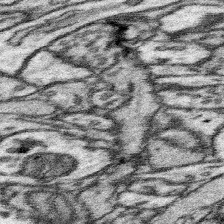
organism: Mouse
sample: Somatosensory cortex neuropil